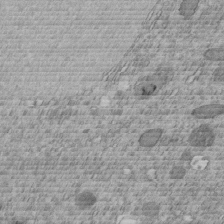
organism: C. elegans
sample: C. elegans embryo early stage